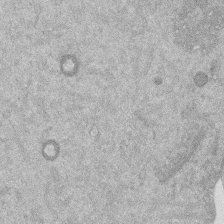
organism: Mouse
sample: Dividing mouse embryo 1 cell stage